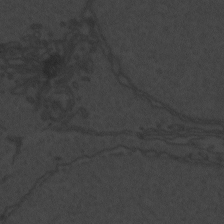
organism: Zebrafish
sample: Macrophage infected with Toxoplasma gondii